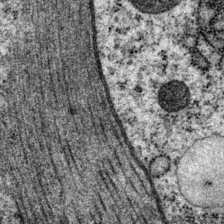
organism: P. pacificus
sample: Pharynx